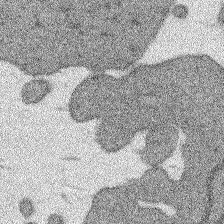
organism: Human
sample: HeLa cells